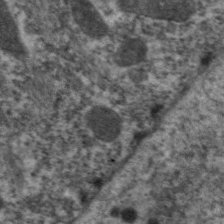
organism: C. elegans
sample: Pharynx